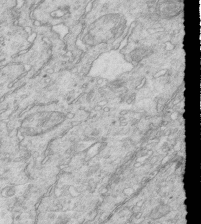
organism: Mouse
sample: Multiciliated cells